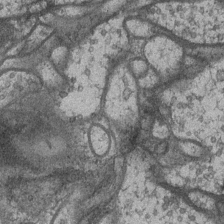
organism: Drosophila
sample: Optic medulla